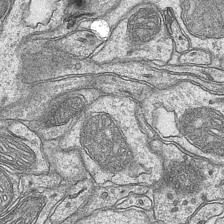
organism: Mouse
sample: CA1 Hippocampus